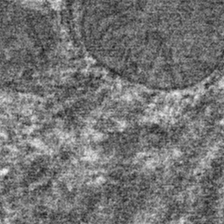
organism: Mouse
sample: Mouse hepatocytes